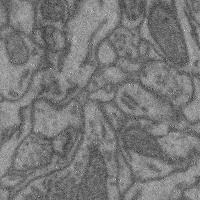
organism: Mouse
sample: Cerebral cortex